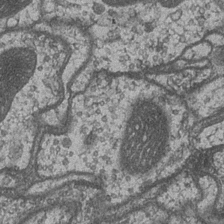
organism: Drosophila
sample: Optic medulla